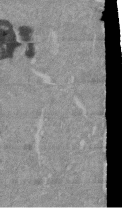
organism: Mouse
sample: ED-1 cell nuclei; centrioles